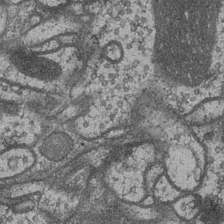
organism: Drosophila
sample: Optic medulla